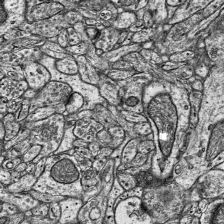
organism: Mouse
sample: Visual Cortex